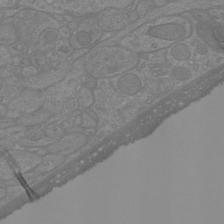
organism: Mouse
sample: Cortical neurons